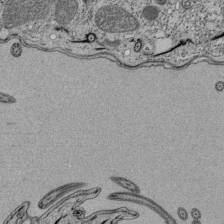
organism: Tetrahymena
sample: Cilia in tetrahymena